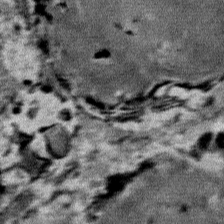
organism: Mouse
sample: Mouse Salivary gland